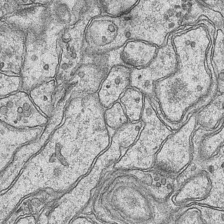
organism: Mouse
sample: CA1 Hippocampus